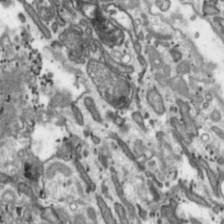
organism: Toxoplasma gondii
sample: Parasites in a vacuole inside a host cell